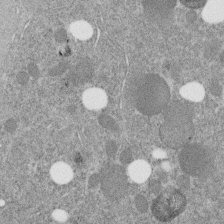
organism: C. elegans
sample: C. elegans embryo early stage